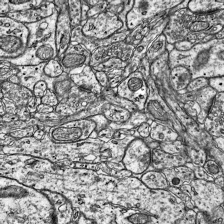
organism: Mouse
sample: Visual Cortex